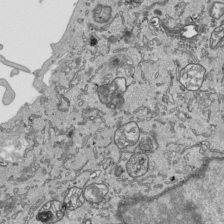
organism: Human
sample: Mitochondria in HCT116 cells